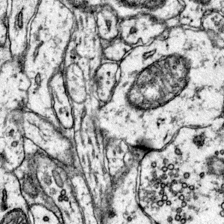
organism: Mouse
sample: Primary visual cortex